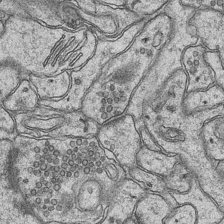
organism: Mouse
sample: CA1 Hippocampus